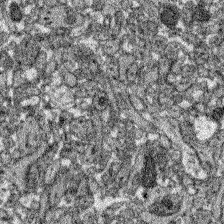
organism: Zebrafish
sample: Larval olfactory bulb